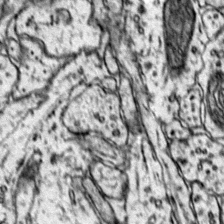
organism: Mouse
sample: Primary visual cortex